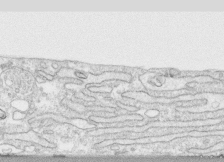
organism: Human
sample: CRL-1474